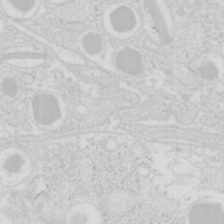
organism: Mouse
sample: Pancreas